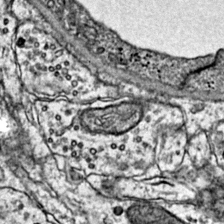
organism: Mouse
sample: Primary visual cortex